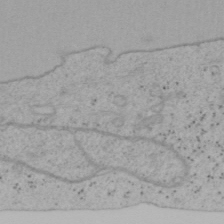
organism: Human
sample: HeLa cells